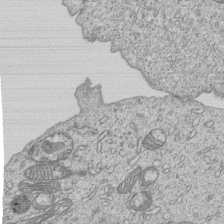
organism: Human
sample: MDA-MB-231 cells